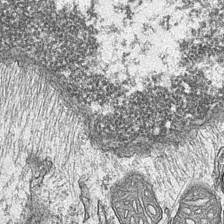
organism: Mouse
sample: CA1 Hippocampus